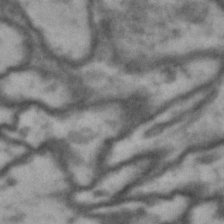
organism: Drosophila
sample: Brain